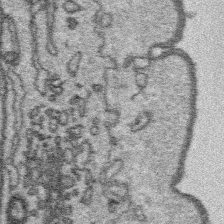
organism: Platynereis dumerilii